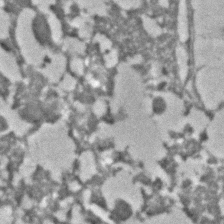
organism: C. elegans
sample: C. elegans embryo